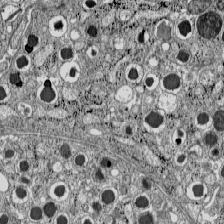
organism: C57BL Mouse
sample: Pancreatic islet